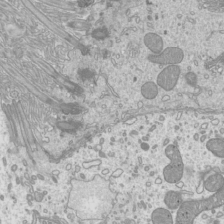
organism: Mouse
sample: Cilia; mouse epididymis